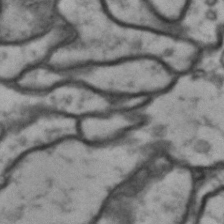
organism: Drosophila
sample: Brain